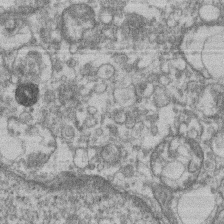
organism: Mouse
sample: T cell stromal cell synapse